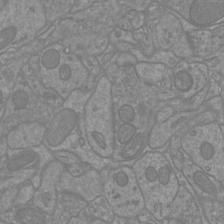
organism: Mouse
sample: Cortical neurons